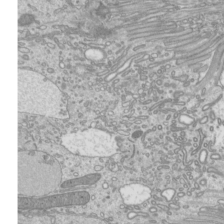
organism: Mouse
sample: Cilia; mouse epididymis